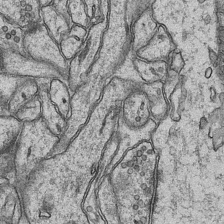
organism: Mouse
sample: CA1 Hippocampus